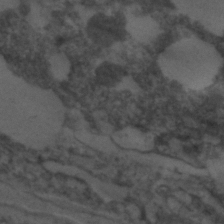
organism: C. elegans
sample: C. elegans embryo